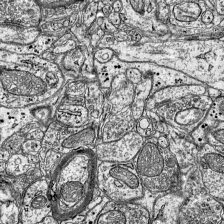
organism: Mouse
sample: Visual Cortex